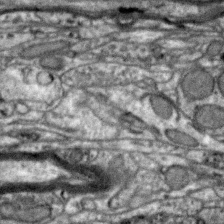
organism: Zebra finch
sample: Brain